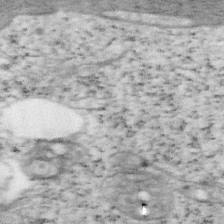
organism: Mouse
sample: OT-I killer T cells with ID8 ovarian cancer cells